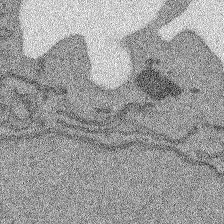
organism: Human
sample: HeLa cells